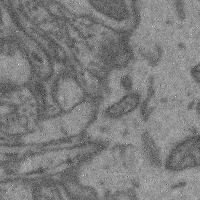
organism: Mouse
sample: Cerebral cortex